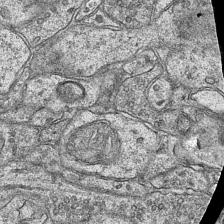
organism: Mouse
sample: CA1 Hippocampus